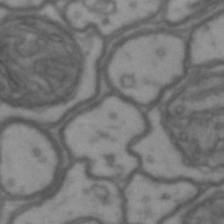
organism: Drosophila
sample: Brain